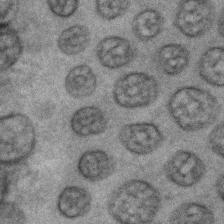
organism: C. elegans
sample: C. elegans embryo